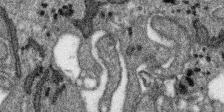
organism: Human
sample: Lung epithelial cells infected with SARS-CoV-2